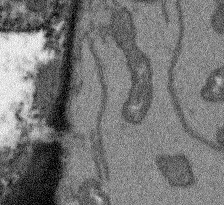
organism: Arabidopsis thaliana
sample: Root tip